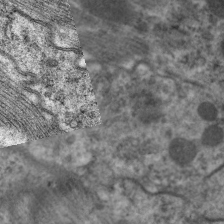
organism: C. elegans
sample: Pharynx